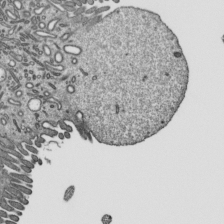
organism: Mouse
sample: Mouse epididymis efferent ductule cilia